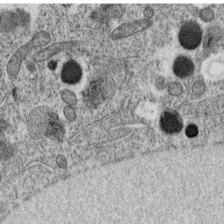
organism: C. elegans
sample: C. elegans oocyte; sperm cells